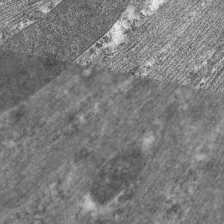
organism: C. elegans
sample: Pharynx